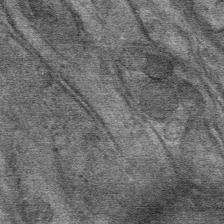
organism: Mouse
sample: Mouse Salivary gland